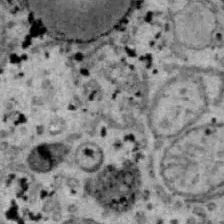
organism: Mouse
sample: Liver from an obese (ob/ob) mouse